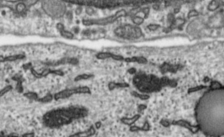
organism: Toxoplasma gondii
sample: Parasites in a vacuole inside a host cell